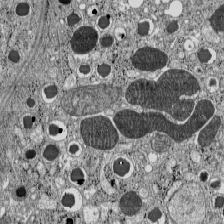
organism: C57BL Mouse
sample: Pancreatic islet